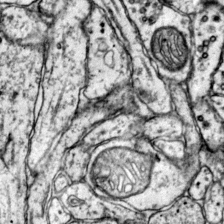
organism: Mouse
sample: Primary visual cortex